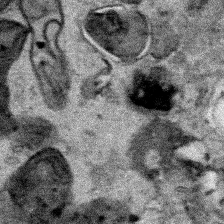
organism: Human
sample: Mitochondria in HCT116 cells